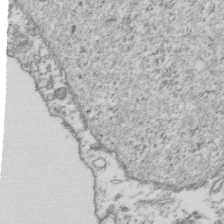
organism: Human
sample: Activated Jurkat CD4+ T cells